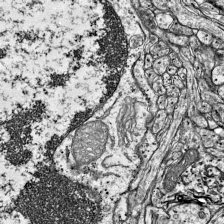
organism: Mouse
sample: Visual Cortex